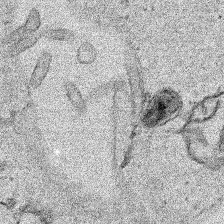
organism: Human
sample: Mitochondria in HCT116 cells